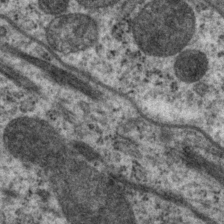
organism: P. pacificus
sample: Pharynx